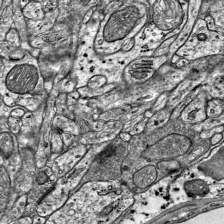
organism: Mouse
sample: Visual Cortex